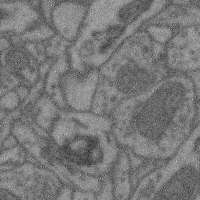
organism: Mouse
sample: Cerebral cortex